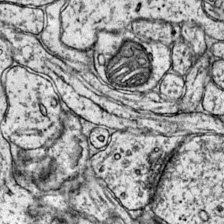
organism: Mouse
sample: Primary visual cortex